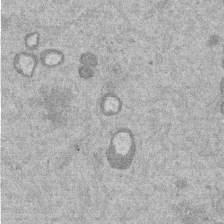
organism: Mouse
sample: Dividing mouse embryo 1 cell stage